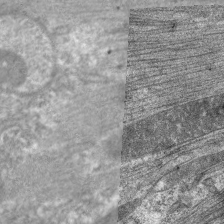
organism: C. elegans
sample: Pharynx